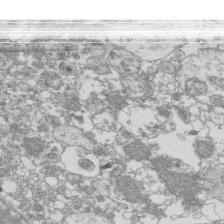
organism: Human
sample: HeLa cell HIV synapse